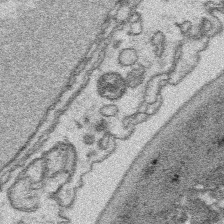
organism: Platynereis dumerilii